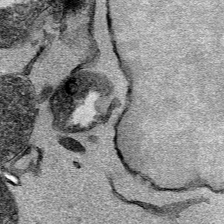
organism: Mouse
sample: Cancer cell death in ED-1 cells